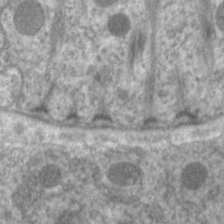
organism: C. elegans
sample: Pharynx